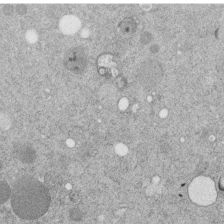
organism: C. elegans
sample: C. elegans embryo early stage